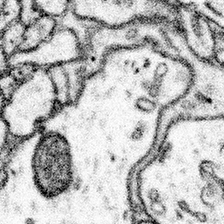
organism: Mouse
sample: Somatosensory cortex neuropil